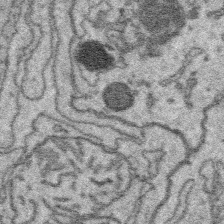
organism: Platynereis dumerilii